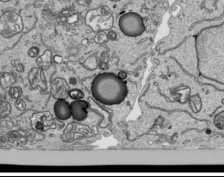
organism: Human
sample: Mitochondria in HCT116 cells